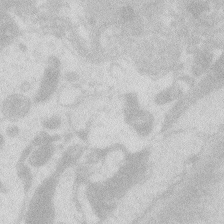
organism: Zebrafish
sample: Macrophage